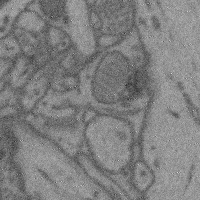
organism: Mouse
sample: Cerebral cortex